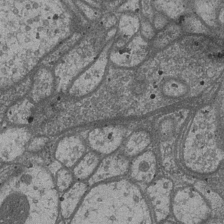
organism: Drosophila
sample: Optic medulla